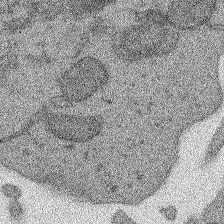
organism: Human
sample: HeLa cells